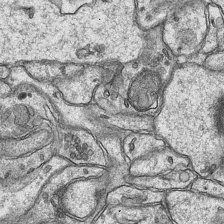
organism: Mouse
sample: CA1 Hippocampus